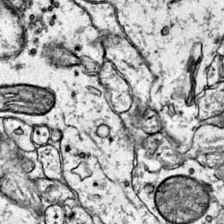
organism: Mouse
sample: Primary visual cortex